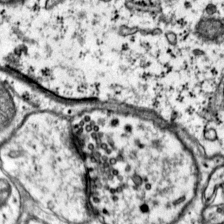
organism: Mouse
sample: Primary visual cortex